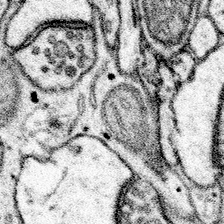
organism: Mouse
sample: Somatosensory cortex neuropil